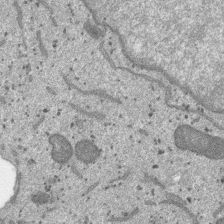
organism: Human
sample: Lung epithelial cells infected with SARS-CoV-2